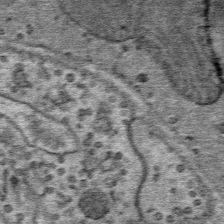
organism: Mouse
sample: Mouse Salivary gland